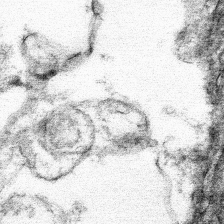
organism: Mouse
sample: Mouse hepatocytes